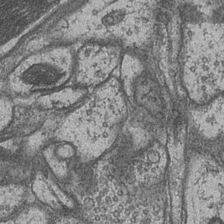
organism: Drosophila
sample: Optic medulla